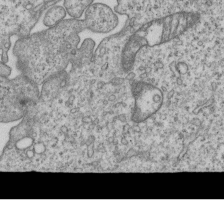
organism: Human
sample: MDA-MB-231 cells